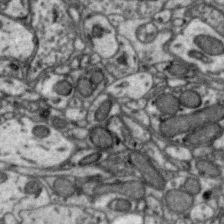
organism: Zebra finch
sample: Brain